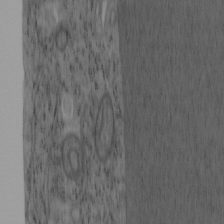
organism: Human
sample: HeLa cells